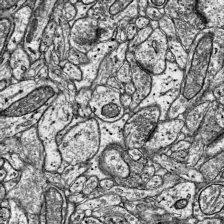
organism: Mouse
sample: Visual Cortex